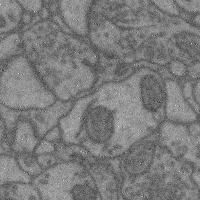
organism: Mouse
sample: Cerebral cortex